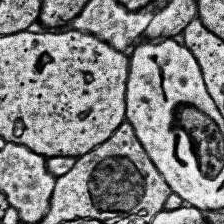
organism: Human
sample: Temporal Lobe